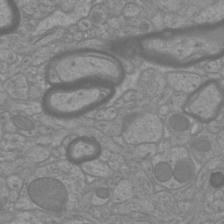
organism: Mouse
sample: Cortical neurons